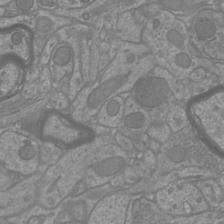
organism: Mouse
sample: Cortical neurons